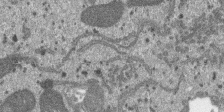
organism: Human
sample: Lung epithelial cells infected with SARS-CoV-2